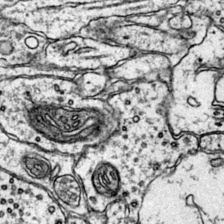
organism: Mouse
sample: Primary visual cortex